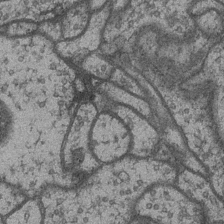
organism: Drosophila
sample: Optic medulla